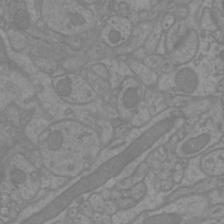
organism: Mouse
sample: Cortical neurons